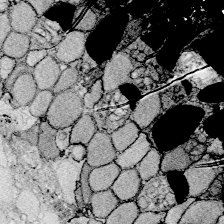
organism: Zebrafish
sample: Whole-Brain